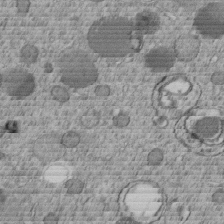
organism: C. elegans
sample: C. elegans embryo early stage